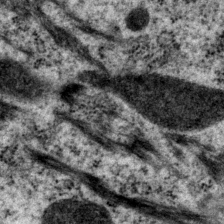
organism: P. pacificus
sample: Pharynx